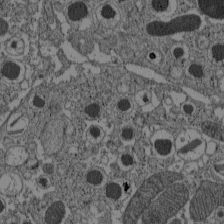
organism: C57BL Mouse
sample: Pancreatic islet